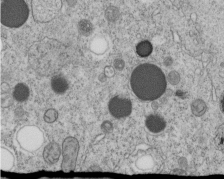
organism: C. elegans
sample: C. elegans embryo early stage